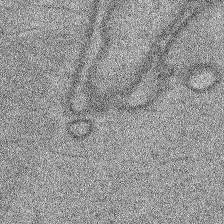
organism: Human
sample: HeLa cells